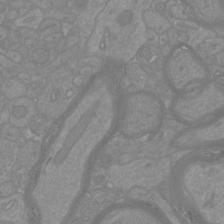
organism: Mouse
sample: Cortical neurons